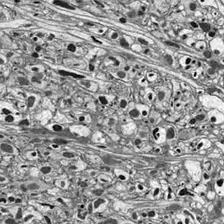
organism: Drosophila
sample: Optic lobe